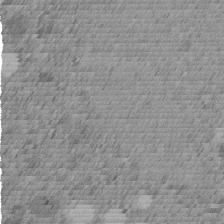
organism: C. elegans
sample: C. elegans embryo early stage